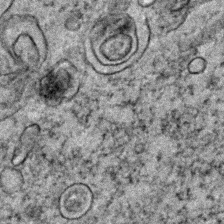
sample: Trachea